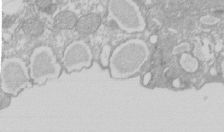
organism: Xenopus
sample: Cilia; centrioles in frog embryo cells